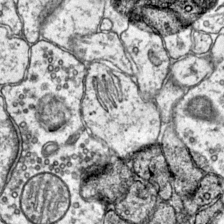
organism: Mouse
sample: Primary visual cortex